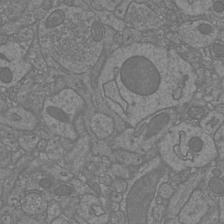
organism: Mouse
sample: Cortical neurons